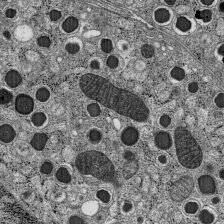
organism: C57BL Mouse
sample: Pancreatic islet